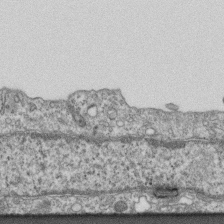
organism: Mouse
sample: Centriole in ependymal cells